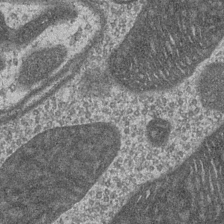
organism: Drosophila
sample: Optic medulla